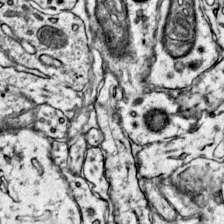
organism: Mouse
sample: Primary visual cortex